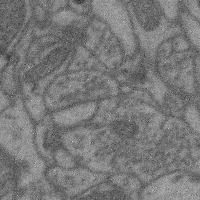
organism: Mouse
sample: Cerebral cortex